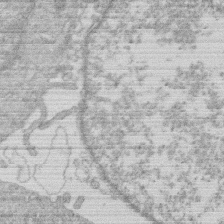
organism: Human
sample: Macrophage cells